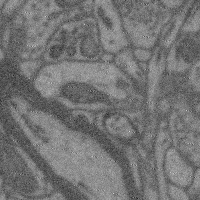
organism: Mouse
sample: Cerebral cortex